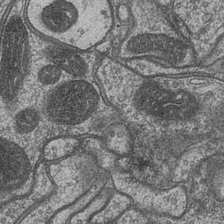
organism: Drosophila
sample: Optic medulla